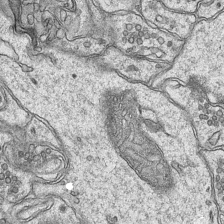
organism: Mouse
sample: CA1 Hippocampus